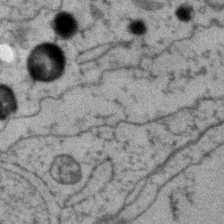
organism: Zebrafish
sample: Zebrafish embryo